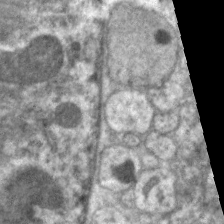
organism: C. elegans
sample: Pharynx